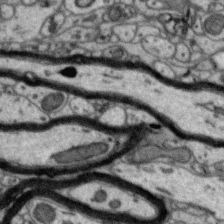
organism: Zebra finch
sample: Brain